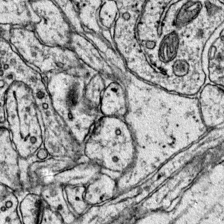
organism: Mouse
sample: Primary visual cortex